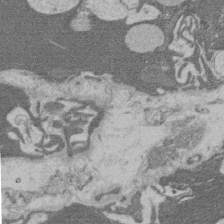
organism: Rat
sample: Salivary granule